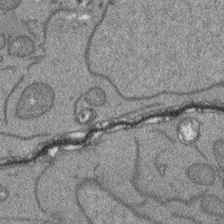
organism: Arabidopsis thaliana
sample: Root tip